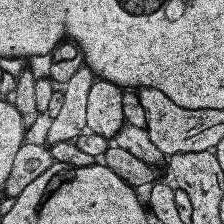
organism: Human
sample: Temporal Lobe